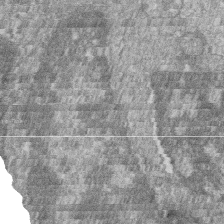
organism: Zebrafish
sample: Cilia; retinal pigment epithelium